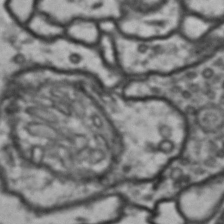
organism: Drosophila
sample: Brain